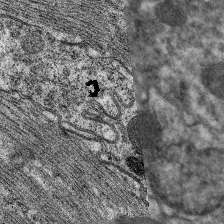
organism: C. elegans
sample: Pharynx